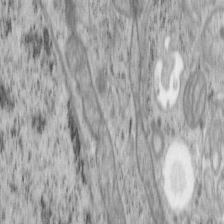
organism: Human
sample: HeLa cells